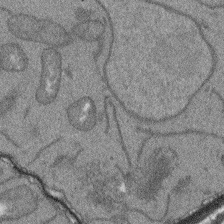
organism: Arabidopsis thaliana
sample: Root tip